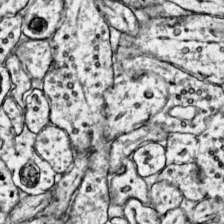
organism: Mouse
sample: Primary visual cortex